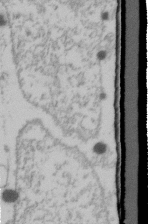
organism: Human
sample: U2-OS cells